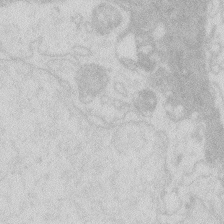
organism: Zebrafish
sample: Macrophage